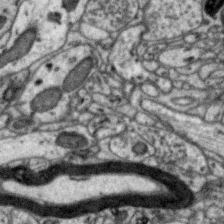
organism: Zebra finch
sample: Brain